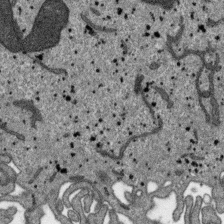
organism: Human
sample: Lung epithelial cells, uninfected (mock) control